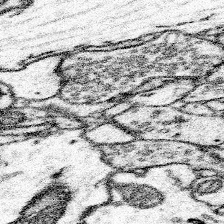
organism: Mouse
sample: Somatosensory cortex neuropil